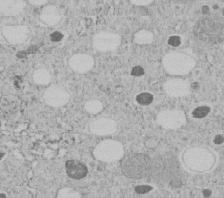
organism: C. elegans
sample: C. elegans embryo early stage